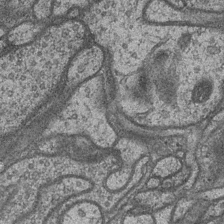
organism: Drosophila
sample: Optic medulla